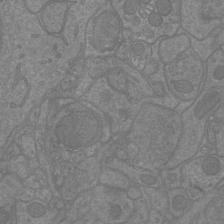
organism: Mouse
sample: Cortical neurons